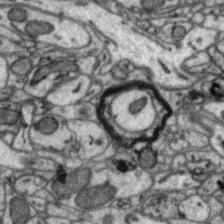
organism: Zebra finch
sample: Brain